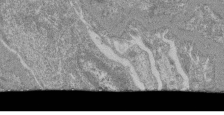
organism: Mouse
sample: Glomerulus